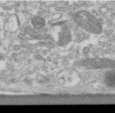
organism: Human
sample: Centriole in RPE cells